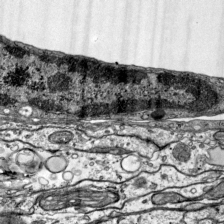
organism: Mouse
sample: Visual Cortex